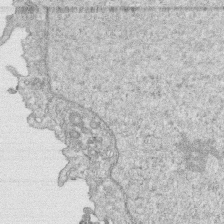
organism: Human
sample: HeLa cell HIV synapse